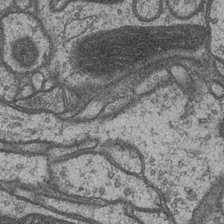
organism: Drosophila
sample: Optic medulla